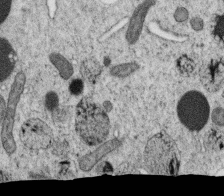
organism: C. elegans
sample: C. elegans oocyte; sperm cells